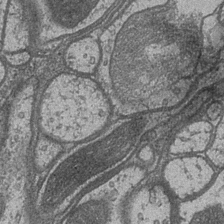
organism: Drosophila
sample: Optic medulla